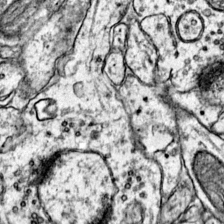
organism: Mouse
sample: Primary visual cortex